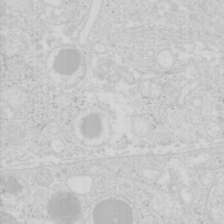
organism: Mouse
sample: Pancreas